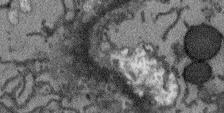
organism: Arabidopsis thaliana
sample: Root tip